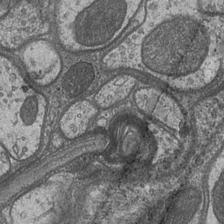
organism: Drosophila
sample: Optic medulla